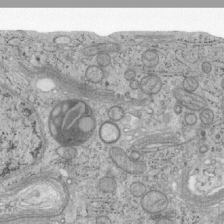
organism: Human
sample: HeLa cells